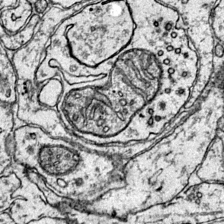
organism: Mouse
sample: Primary visual cortex